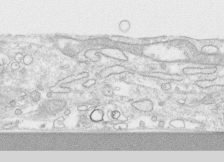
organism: Human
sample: CRL-1474